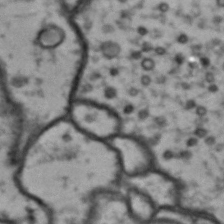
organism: Drosophila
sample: Brain